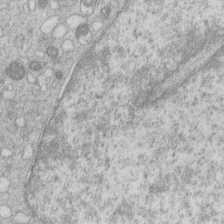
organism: Human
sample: Macrophage cells